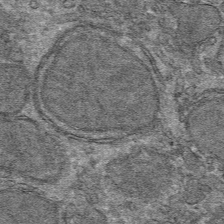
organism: Mouse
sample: Mouse hepatocytes